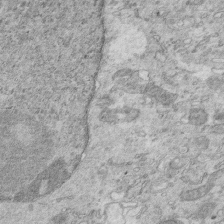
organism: Mouse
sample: Multiciliated cells